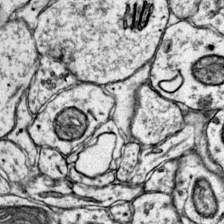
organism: Mouse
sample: Primary visual cortex